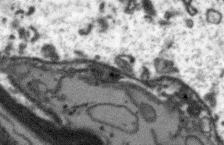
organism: Arabidopsis thaliana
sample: Root tip